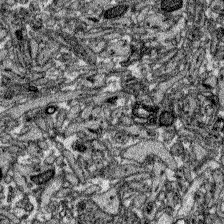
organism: Zebrafish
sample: Larval olfactory bulb